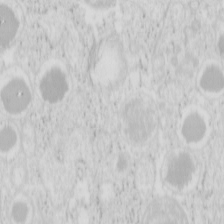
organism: Mouse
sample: Pancreas